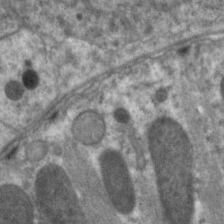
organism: C. elegans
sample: Pharynx